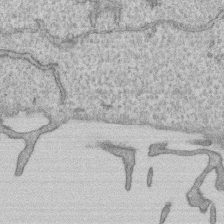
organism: Human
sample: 1205lu cells